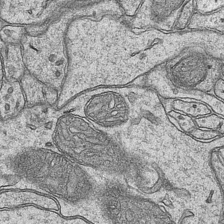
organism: Mouse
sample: CA1 Hippocampus